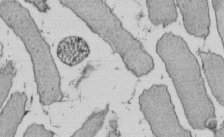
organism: E. coli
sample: Bacterial nucleoid